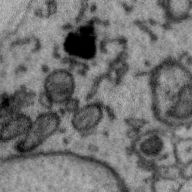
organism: Zebra finch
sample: Brain